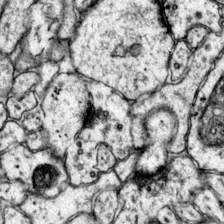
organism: Mouse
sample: Primary visual cortex